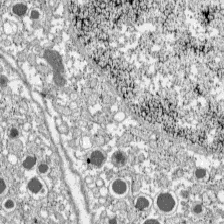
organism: C57BL Mouse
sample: Pancreatic islet